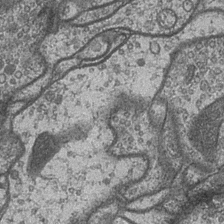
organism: Drosophila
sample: Optic medulla